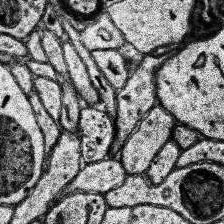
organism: Human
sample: Temporal Lobe